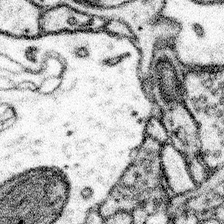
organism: Mouse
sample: Somatosensory cortex neuropil